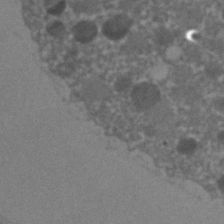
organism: C. elegans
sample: C. elegans embryo